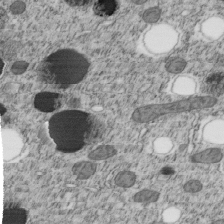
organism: C. elegans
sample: C. elegans embryo early stage